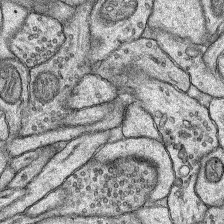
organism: Rat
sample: Hippocampus